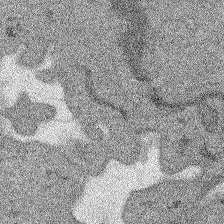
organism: Human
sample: HeLa cells